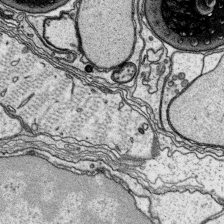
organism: Platynereis dumerilii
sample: Parapodia